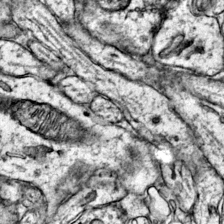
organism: Mouse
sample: Primary visual cortex